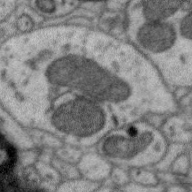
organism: Zebra finch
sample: Brain